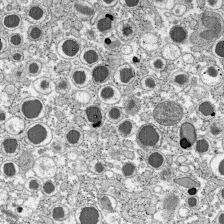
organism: C57BL Mouse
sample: Pancreatic islet